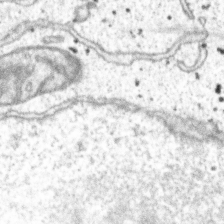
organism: Human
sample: HeLa cells